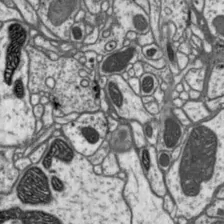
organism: Drosophila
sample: Protocerebral bridge